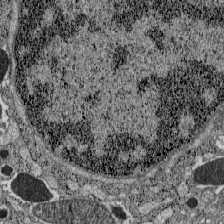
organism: C57BL Mouse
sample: Pancreatic islet